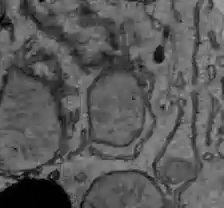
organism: C57BL Mouse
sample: Liver